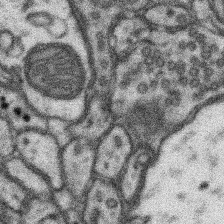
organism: Mouse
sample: Somatosensory cortex neuropil